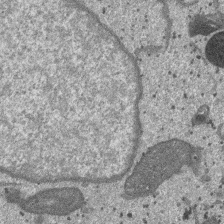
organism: Human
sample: Lung epithelial cells infected with SARS-CoV-2